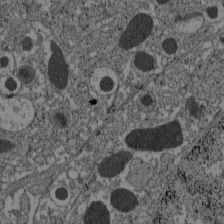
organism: C57BL Mouse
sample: Pancreatic islet